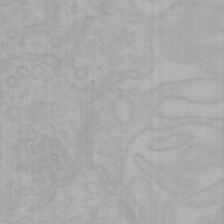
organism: Mouse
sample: Choroid plexus